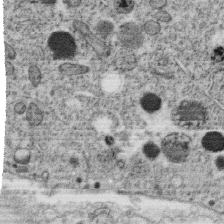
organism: C. elegans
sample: C. elegans oocyte; sperm cells